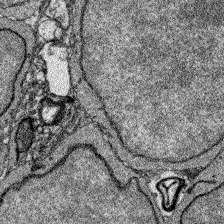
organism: Zebrafish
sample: Larval olfactory bulb